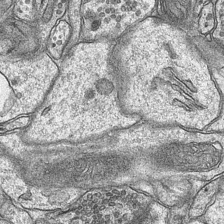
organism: Mouse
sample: CA1 Hippocampus